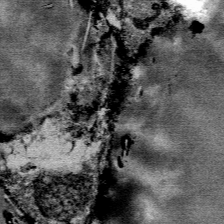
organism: Mouse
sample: Mouse Salivary gland